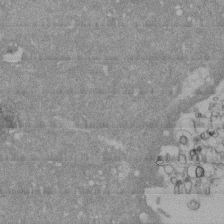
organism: Mouse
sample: ED-1 cell nuclei; centrioles